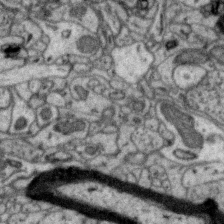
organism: Zebra finch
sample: Brain